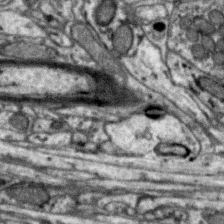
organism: Zebra finch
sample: Brain